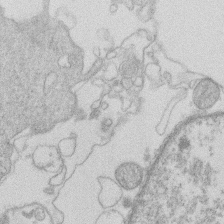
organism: Human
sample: Macrophage cells